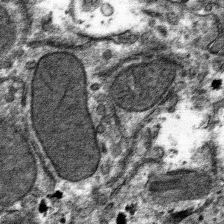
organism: Mouse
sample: Mouse hepatocytes